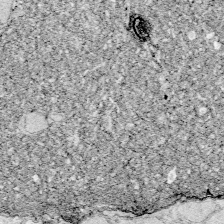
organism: Zebrafish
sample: Whole-Brain